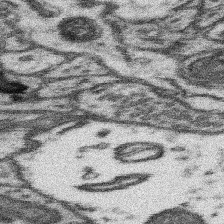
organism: Mouse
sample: Somatosensory cortex neuropil